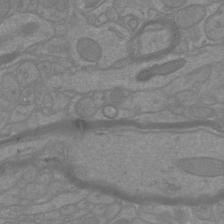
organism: Mouse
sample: Cortical neurons